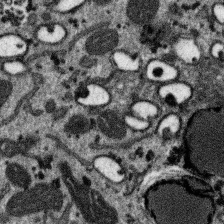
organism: Human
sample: Lung epithelial cells infected with SARS-CoV-2